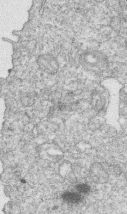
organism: Human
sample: HeLa cell HIV synapse